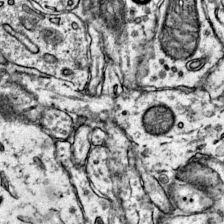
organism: Mouse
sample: Primary visual cortex